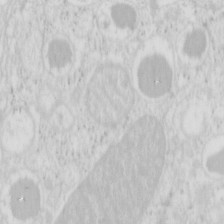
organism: Mouse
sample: Pancreas